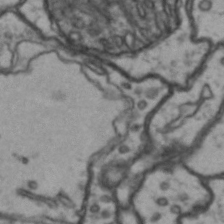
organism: Drosophila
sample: Brain